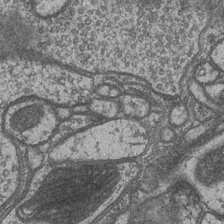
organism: Drosophila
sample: Optic medulla